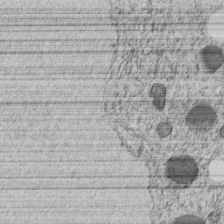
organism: C. elegans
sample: C. elegans embryo early stage